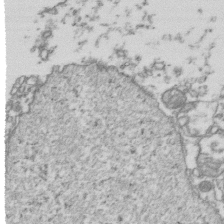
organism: Human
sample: Activated Jurkat CD4+ T cells